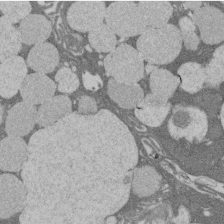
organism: Rat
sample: Salivary granule